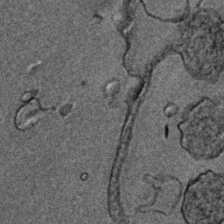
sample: Trachea